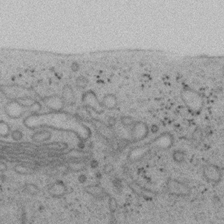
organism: Human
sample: HeLa cells